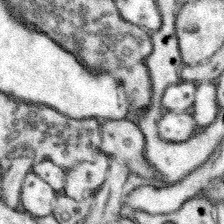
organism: Mouse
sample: Somatosensory cortex neuropil